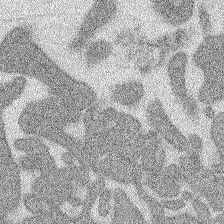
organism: Human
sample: HeLa cells